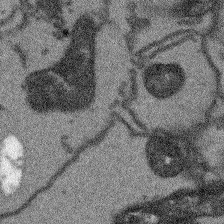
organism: Arabidopsis thaliana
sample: Root tip